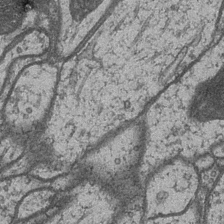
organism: Drosophila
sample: Optic medulla